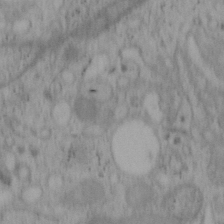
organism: Mouse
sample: OT-I killer T cells with ID8 ovarian cancer cells